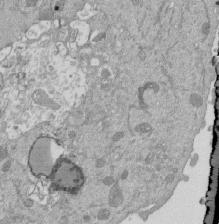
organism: Mouse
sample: ED-1 cell nuclei; centrioles